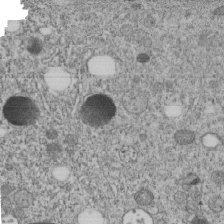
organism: C. elegans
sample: C. elegans embryo early stage